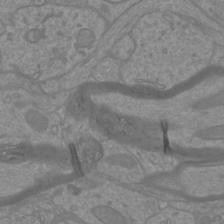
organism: Mouse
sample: Cortical neurons